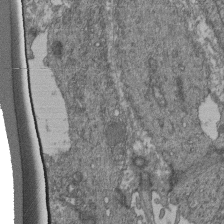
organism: Human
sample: Retinal organoid Rod and Cone cells